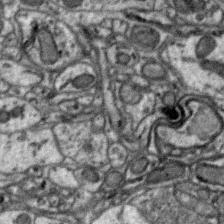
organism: Zebra finch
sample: Brain